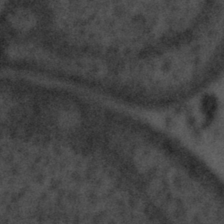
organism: Tuwongella immobilis